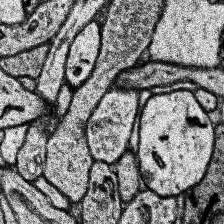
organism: Human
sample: Temporal Lobe